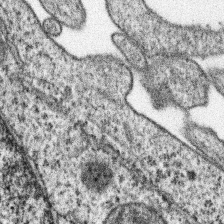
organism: Human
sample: HeLa cells